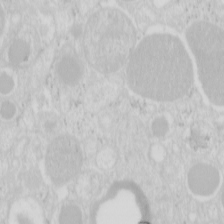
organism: Mouse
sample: Pancreas